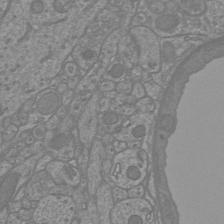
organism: Mouse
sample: Cortical neurons